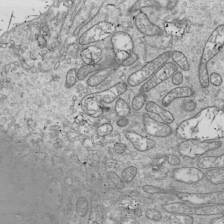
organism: Drosophila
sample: Cell division; meiosis; drosophila spermatocytes